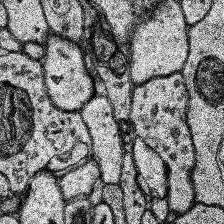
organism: Human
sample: Temporal Lobe